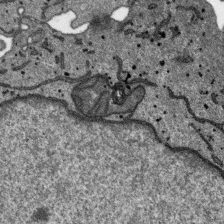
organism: Human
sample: Lung epithelial cells, uninfected (mock) control